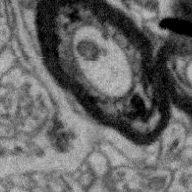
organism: Zebra finch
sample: Brain